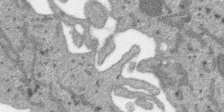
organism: Human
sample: Lung epithelial cells infected with SARS-CoV-2